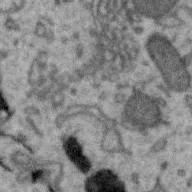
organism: Zebra finch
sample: Brain